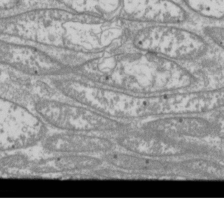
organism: Drosophila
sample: Cell division; meiosis; drosophila spermatocytes